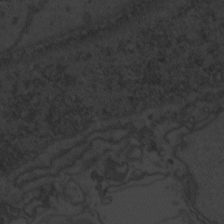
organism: Zebrafish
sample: Macrophage infected with Toxoplasma gondii